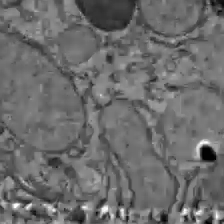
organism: C57BL Mouse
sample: Liver